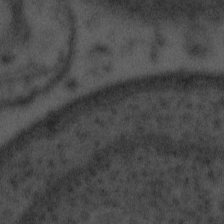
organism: Tuwongella immobilis